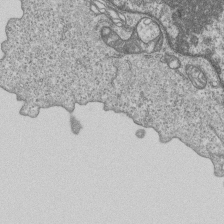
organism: Human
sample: MDA-MB-231 cells